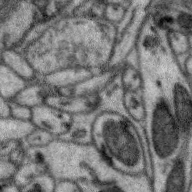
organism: Zebra finch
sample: Brain